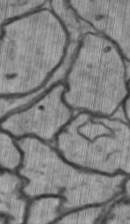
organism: Drosophila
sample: Brain